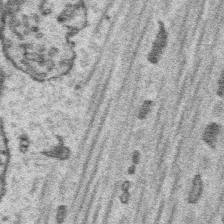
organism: Platynereis dumerilii